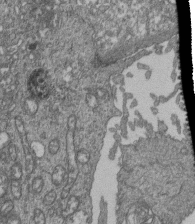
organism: Human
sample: Retinal organoid Rod and Cone cells